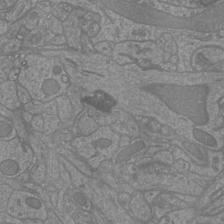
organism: Mouse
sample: Cortical neurons